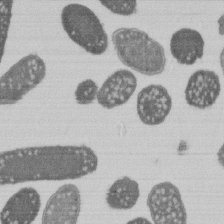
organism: E. coli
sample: Bacterial nucleoid